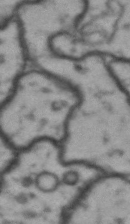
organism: Drosophila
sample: Brain